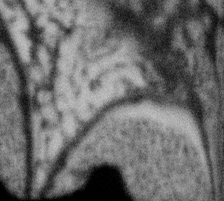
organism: Gemmata obscuriglobus